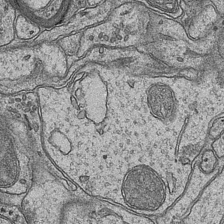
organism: Mouse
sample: CA1 Hippocampus